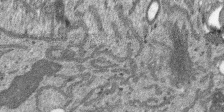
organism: Human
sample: Lung epithelial cells infected with SARS-CoV-2